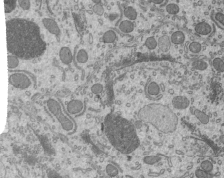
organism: Mouse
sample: Mouse epididymis efferent ductule cilia